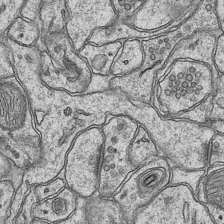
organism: Mouse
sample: CA1 Hippocampus